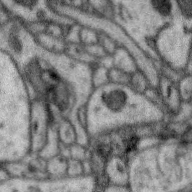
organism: Zebra finch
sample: Brain